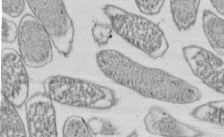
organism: E. coli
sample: Bacterial nucleoid